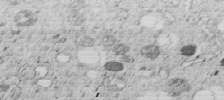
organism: C. elegans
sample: C. elegans embryo early stage